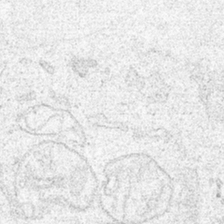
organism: Human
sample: Mitochondria in HCT116 cells